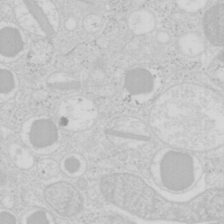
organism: Mouse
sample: Pancreas